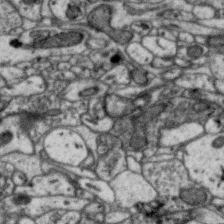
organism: Zebra finch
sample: Brain